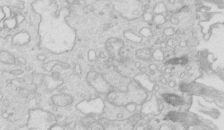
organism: Mouse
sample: Multiciliated cells